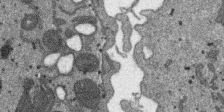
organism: Human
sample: Lung epithelial cells infected with SARS-CoV-2